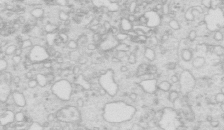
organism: Mouse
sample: Multiciliated cells